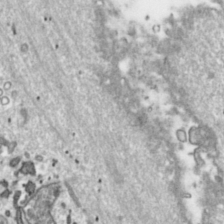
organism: Toxoplasma gondii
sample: Parasites in a vacuole inside a host cell